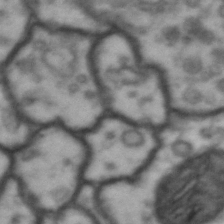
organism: Drosophila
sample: Brain